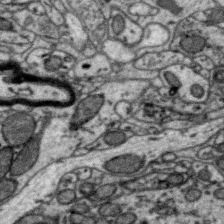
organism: Zebra finch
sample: Brain